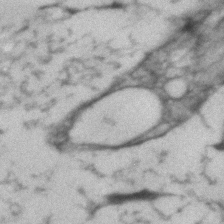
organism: Human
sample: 1205lu cells